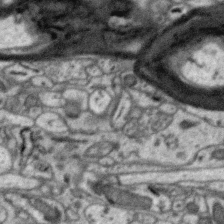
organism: Zebra finch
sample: Brain